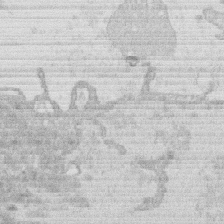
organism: Human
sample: Macrophage cells